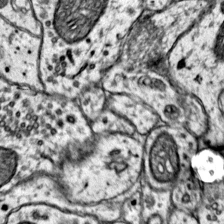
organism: Mouse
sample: Primary visual cortex